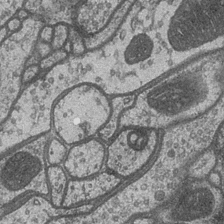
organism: Drosophila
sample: Optic medulla